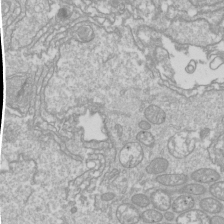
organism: Drosophila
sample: Cell division; meiosis; drosophila spermatocytes